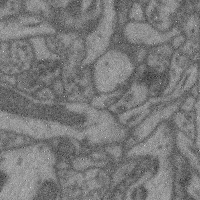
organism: Mouse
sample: Cerebral cortex